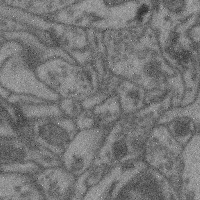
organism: Mouse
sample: Cerebral cortex